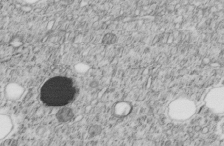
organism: C. elegans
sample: C. elegans embryo early stage